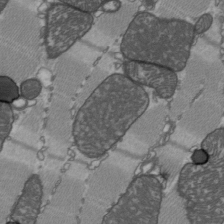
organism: C57BL Mouse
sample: Heart